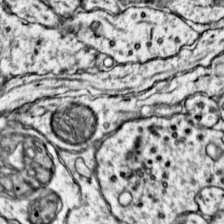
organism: Mouse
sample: Primary visual cortex